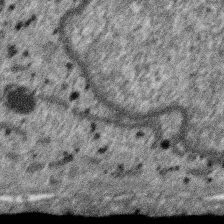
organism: Human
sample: Lung epithelial cells infected with SARS-CoV-2